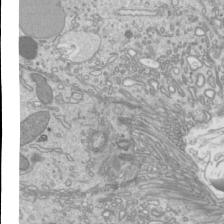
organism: Mouse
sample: Cilia; mouse epididymis